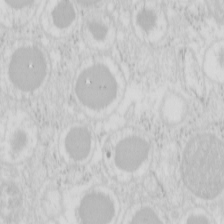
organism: Mouse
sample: Pancreas